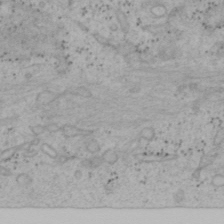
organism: Human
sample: HeLa cells